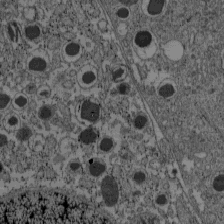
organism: C57BL Mouse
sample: Pancreatic islet